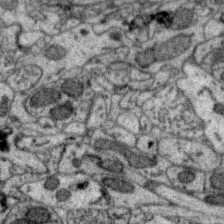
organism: Zebra finch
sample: Brain